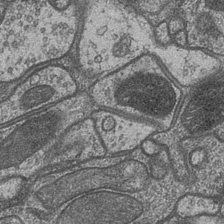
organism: Drosophila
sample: Optic medulla